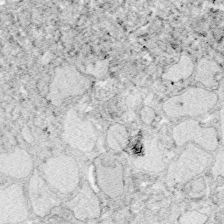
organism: Zebrafish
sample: Whole-Brain